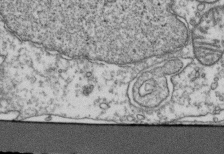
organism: Human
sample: Activated Jurkat CD4+ T cells